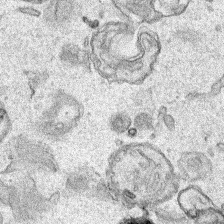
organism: Human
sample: Mitochondria in HCT116 cells